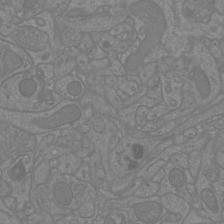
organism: Mouse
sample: Cortical neurons